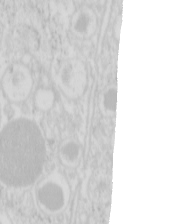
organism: Mouse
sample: Pancreas